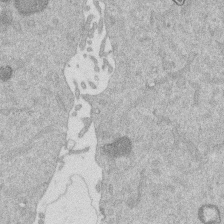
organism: Mouse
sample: Dividing mouse embryo 1 cell stage